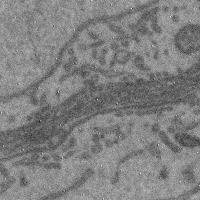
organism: Mouse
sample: Cerebral cortex